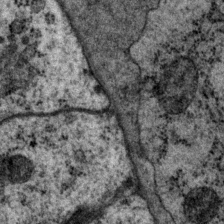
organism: P. pacificus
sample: Pharynx